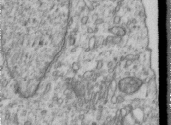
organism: Human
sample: Centriole in RPE cells